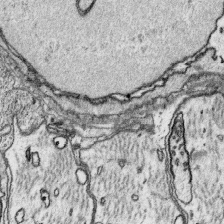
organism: Platynereis dumerilii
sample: Parapodia